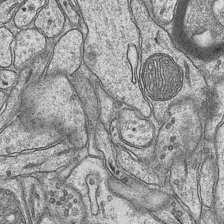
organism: Mouse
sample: CA1 Hippocampus